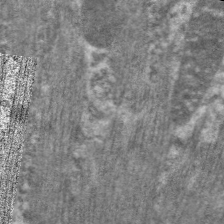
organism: C. elegans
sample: Pharynx